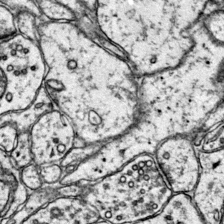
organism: Mouse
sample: Primary visual cortex